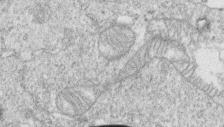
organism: Human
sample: HeLa cell HIV synapse